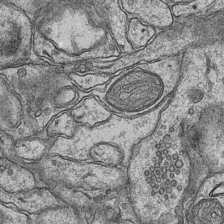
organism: Mouse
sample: CA1 Hippocampus